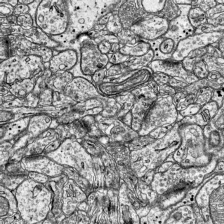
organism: Mouse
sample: Visual Cortex